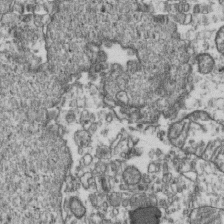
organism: Human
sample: Activated Jurkat CD4+ T cells